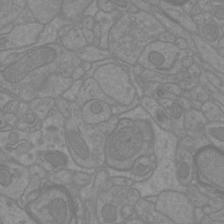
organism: Mouse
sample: Cortical neurons